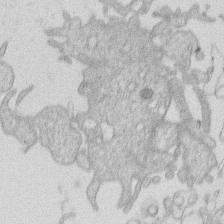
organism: Human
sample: Macrophage cells